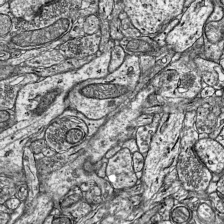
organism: Mouse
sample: Visual Cortex